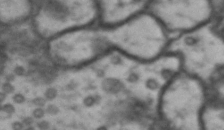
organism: Drosophila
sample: Brain